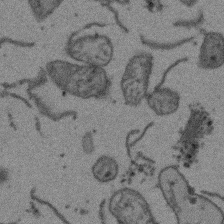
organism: Arabidopsis thaliana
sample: Root tip